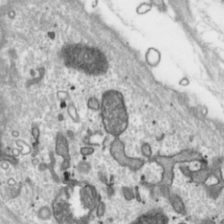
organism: Toxoplasma gondii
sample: Parasites in a vacuole inside a host cell